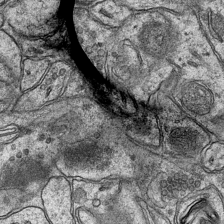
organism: Mouse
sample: CA1 Hippocampus